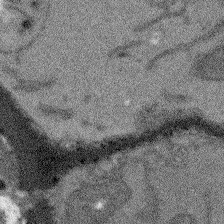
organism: Arabidopsis thaliana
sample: Root tip